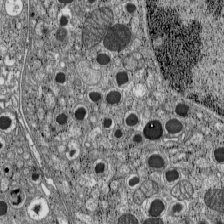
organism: C57BL Mouse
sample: Pancreatic islet